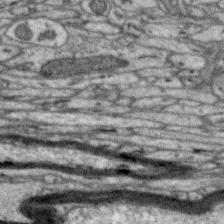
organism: Zebra finch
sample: Brain